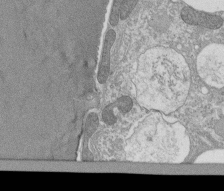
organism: Tetrahymena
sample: Cilia in tetrahymena